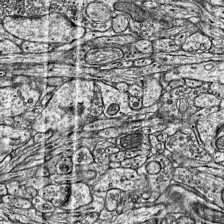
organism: Mouse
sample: Visual Cortex